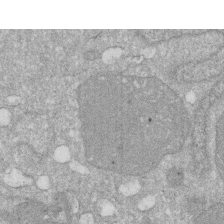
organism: Human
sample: HIV infected U937 cells